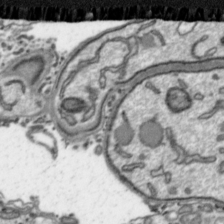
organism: Toxoplasma gondii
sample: Parasites in a vacuole inside a host cell